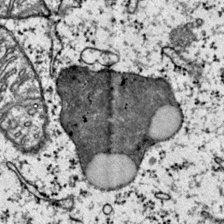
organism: Mouse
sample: Primary visual cortex